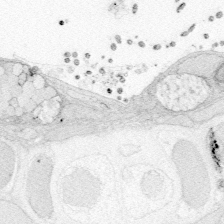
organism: Zebrafish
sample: Whole-Brain